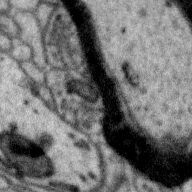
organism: Zebra finch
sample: Brain